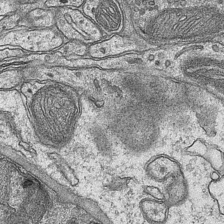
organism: Mouse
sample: CA1 Hippocampus